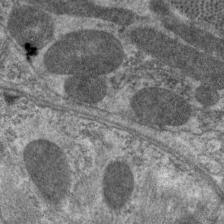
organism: C. elegans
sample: Pharynx